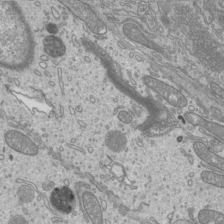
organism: Mouse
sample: Cilia; mouse epididymis